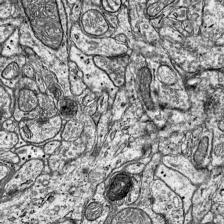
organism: Mouse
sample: Visual Cortex